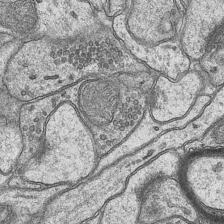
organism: Mouse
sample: CA1 Hippocampus